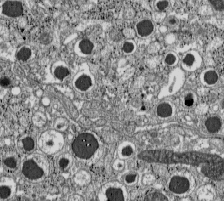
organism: C57BL Mouse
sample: Pancreatic islet